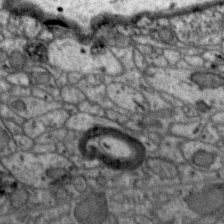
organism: Zebra finch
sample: Brain